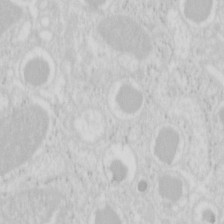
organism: Mouse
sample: Pancreas